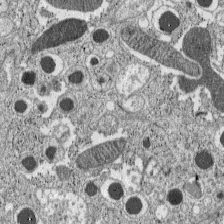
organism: C57BL Mouse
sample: Pancreatic islet